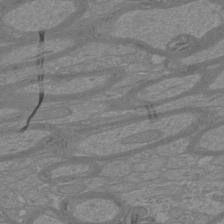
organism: Mouse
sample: Cortical neurons